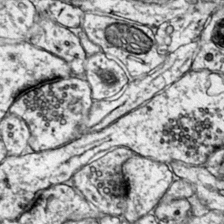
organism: Mouse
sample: Primary visual cortex